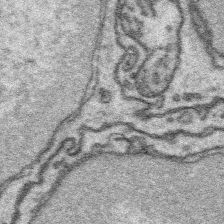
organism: Platynereis dumerilii